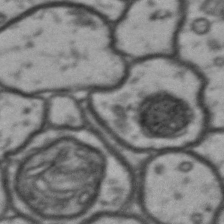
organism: Drosophila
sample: Brain